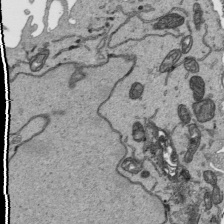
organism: Human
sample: Mitochondria in HCT116 cells